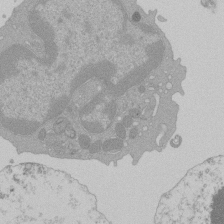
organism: Mouse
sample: Activated Pmel transgenic CD8+ T Cells